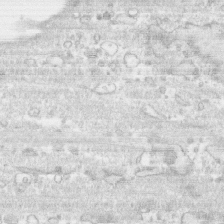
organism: Human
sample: CRL-1474